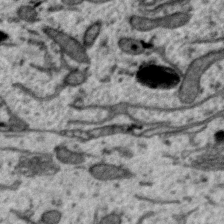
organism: Zebra finch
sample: Brain